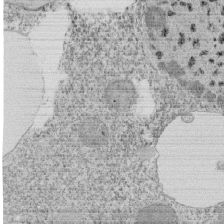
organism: Tetrahymena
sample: Cilia in tetrahymena